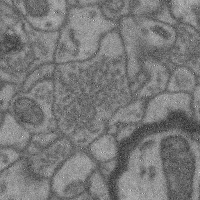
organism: Mouse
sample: Cerebral cortex